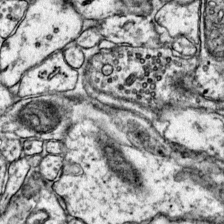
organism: Mouse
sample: Primary visual cortex